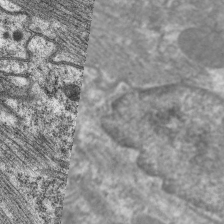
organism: C. elegans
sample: Pharynx